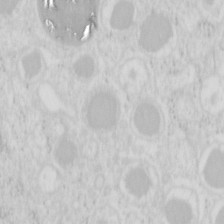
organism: Mouse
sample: Pancreas